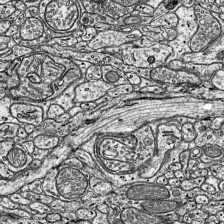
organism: Mouse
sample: Visual Cortex